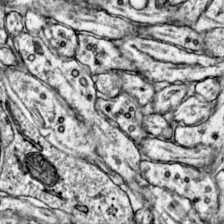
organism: Mouse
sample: Primary visual cortex